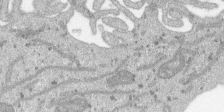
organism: Human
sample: Lung epithelial cells infected with SARS-CoV-2